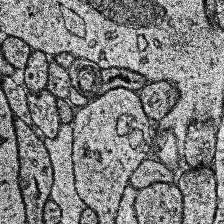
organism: Human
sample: Temporal Lobe